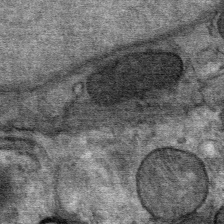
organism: Mouse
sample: Mouse Salivary gland